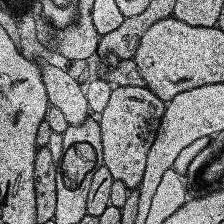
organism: Human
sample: Temporal Lobe